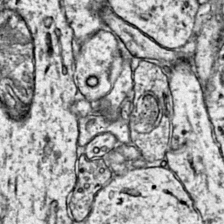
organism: Mouse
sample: Primary visual cortex